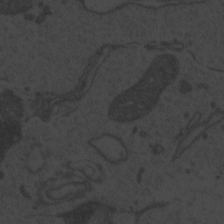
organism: Zebrafish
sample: Macrophage infected with Toxoplasma gondii